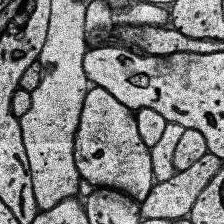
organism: Human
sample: Temporal Lobe